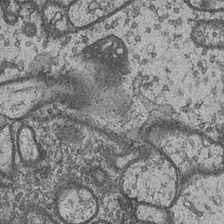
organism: Drosophila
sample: Optic medulla